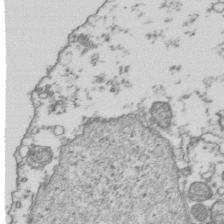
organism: Human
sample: Activated Jurkat CD4+ T cells